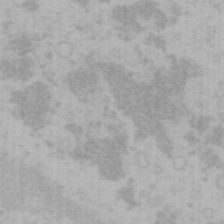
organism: Mouse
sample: Choroid plexus